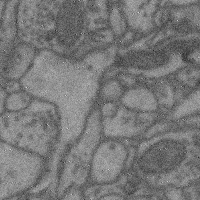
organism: Mouse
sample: Cerebral cortex